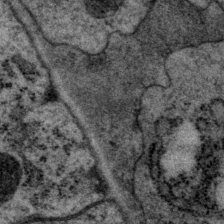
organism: P. pacificus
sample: Pharynx